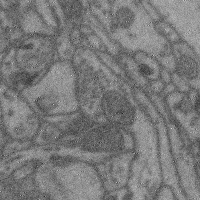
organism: Mouse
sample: Cerebral cortex